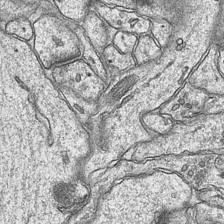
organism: Mouse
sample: CA1 Hippocampus